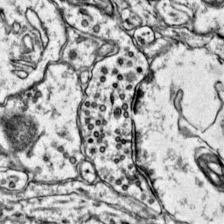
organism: Mouse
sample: Primary visual cortex